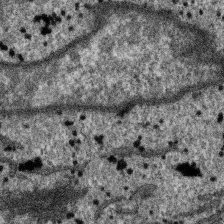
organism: Human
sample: Lung epithelial cells infected with SARS-CoV-2